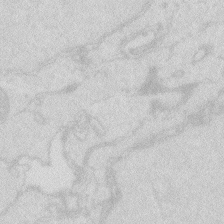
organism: Zebrafish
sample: Macrophage